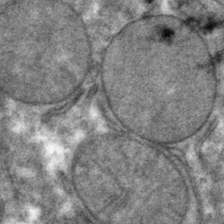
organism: Mouse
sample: Mouse hepatocytes